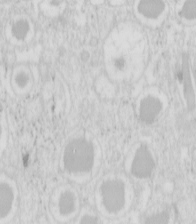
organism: Mouse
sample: Pancreas